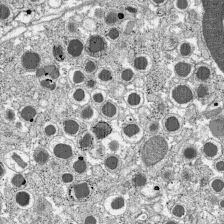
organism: C57BL Mouse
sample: Pancreatic islet